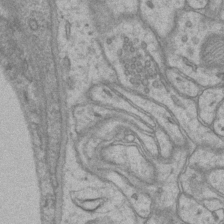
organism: Mouse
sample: CA1 Hippocampus